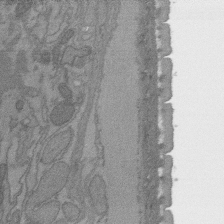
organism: C. elegans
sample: AFD neurons C. elegans